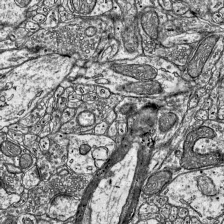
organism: Mouse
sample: Visual Cortex